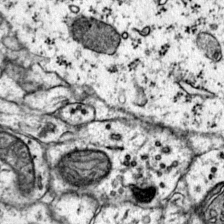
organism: Mouse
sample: Primary visual cortex